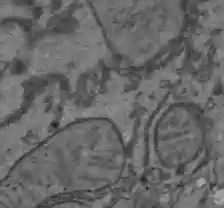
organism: C57BL Mouse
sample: Liver